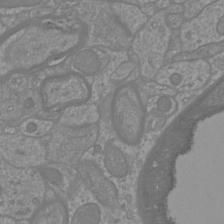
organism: Mouse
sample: Cortical neurons